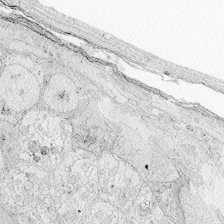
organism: Zebrafish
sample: Whole-Brain